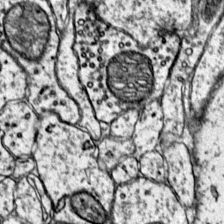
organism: Mouse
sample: Primary visual cortex